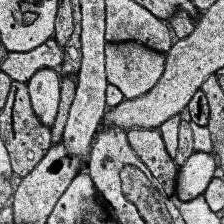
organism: Human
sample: Temporal Lobe